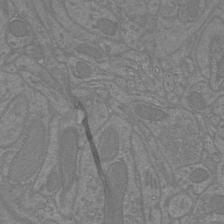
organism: Mouse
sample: Cortical neurons